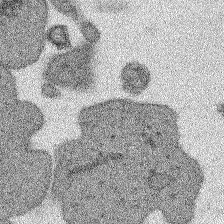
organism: Human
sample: HeLa cells